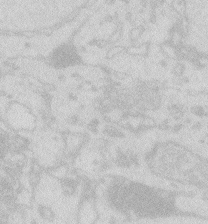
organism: Zebrafish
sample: Macrophage